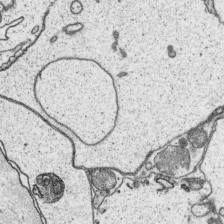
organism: Platynereis dumerilii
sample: Parapodia